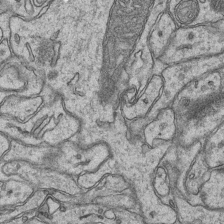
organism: Mouse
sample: CA1 Hippocampus